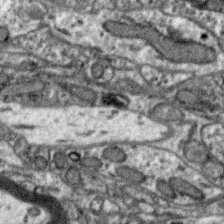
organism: Zebra finch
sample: Brain